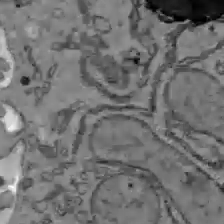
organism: C57BL Mouse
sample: Liver